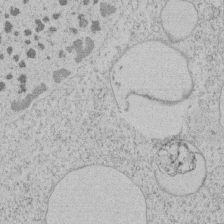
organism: Tetrahymena